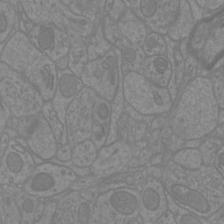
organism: Mouse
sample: Cortical neurons